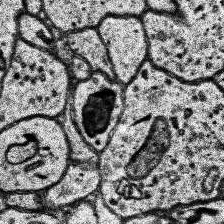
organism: Human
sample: Temporal Lobe